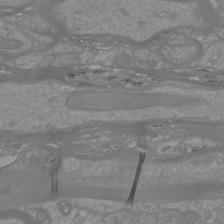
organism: Mouse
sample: Cortical neurons